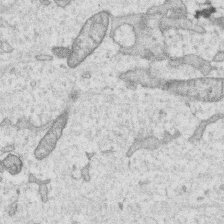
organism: Human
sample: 1205lu cells